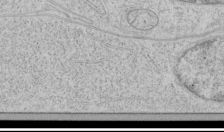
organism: Human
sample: Mitochondria in HCT116 cells